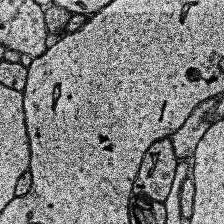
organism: Human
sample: Temporal Lobe